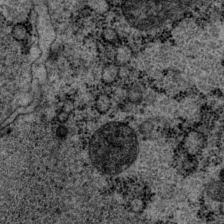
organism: P. pacificus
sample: Pharynx